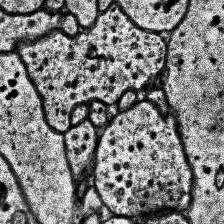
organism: Human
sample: Temporal Lobe